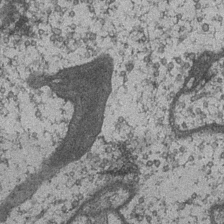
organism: Drosophila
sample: Optic medulla